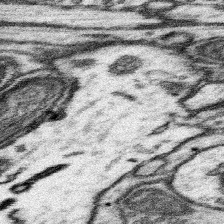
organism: Mouse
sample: Somatosensory cortex neuropil